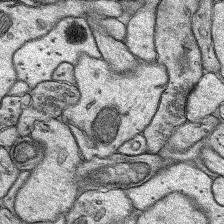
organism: Rat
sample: Hippocampus